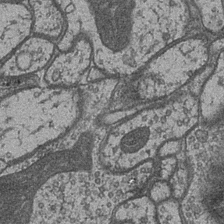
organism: Drosophila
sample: Optic medulla